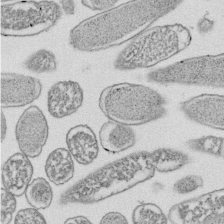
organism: E. coli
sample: Bacterial nucleoid